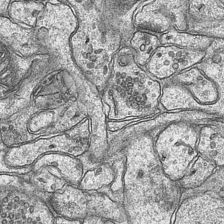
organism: Mouse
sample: CA1 Hippocampus